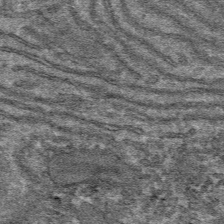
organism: Mouse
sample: Mouse hepatocytes